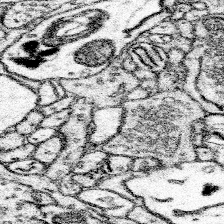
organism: Mouse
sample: Somatosensory cortex neuropil